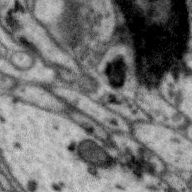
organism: Zebra finch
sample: Brain